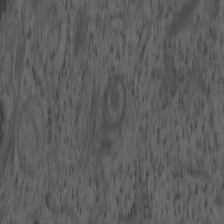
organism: Human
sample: HeLa cells